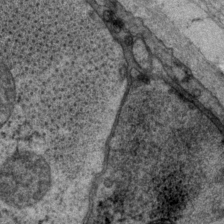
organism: P. pacificus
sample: Pharynx